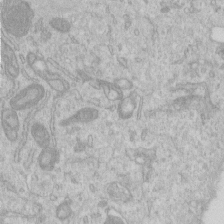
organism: Human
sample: Centriole in RPE cells